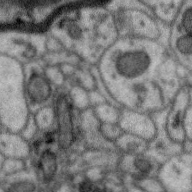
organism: Zebra finch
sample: Brain